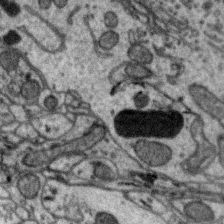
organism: Zebra finch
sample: Brain